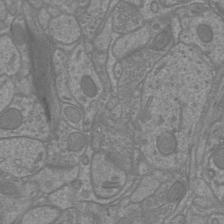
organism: Mouse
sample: Cortical neurons